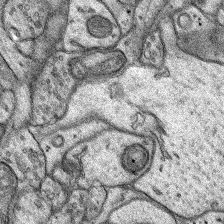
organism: Rat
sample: Hippocampus